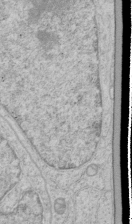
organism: Human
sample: Mitochondria in HCT116 cells